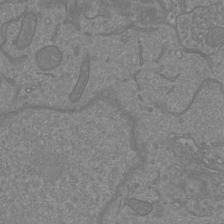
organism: Mouse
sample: Cortical neurons